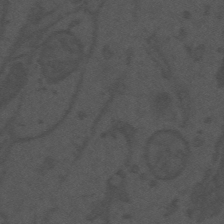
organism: Mouse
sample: Suprachiasmatic nucleus